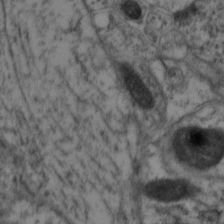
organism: Mouse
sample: Neocortex